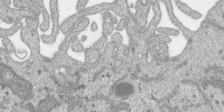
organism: Human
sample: Lung epithelial cells infected with SARS-CoV-2